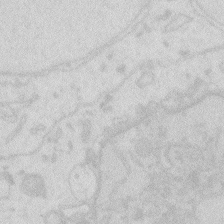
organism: Zebrafish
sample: Macrophage